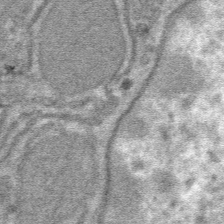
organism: Mouse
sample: Mouse hepatocytes